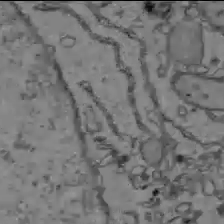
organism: C57BL Mouse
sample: Liver